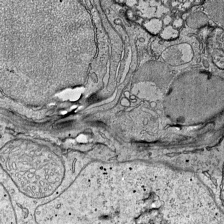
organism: Mouse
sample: Visual Cortex